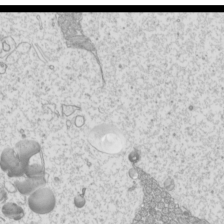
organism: Mouse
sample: Cilia; mouse epididymis